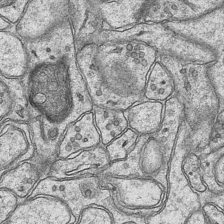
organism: Mouse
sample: CA1 Hippocampus